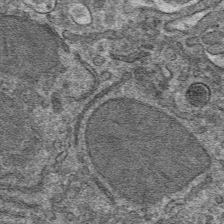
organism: Mouse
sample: Mouse hepatocytes